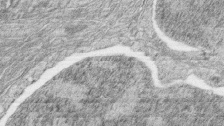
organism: Zebrafish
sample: synaptic ribbons in rod cells and cone cells